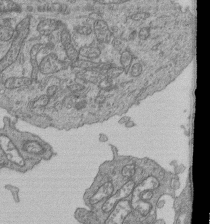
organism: Human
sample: Retinal organoid Rod and Cone cells